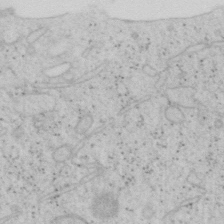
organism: Human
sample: HeLa cells